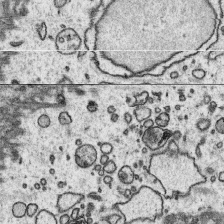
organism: Platynereis dumerilii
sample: Parapodia